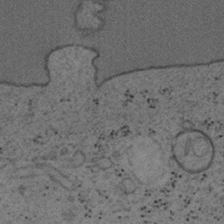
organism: Human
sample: HeLa cells